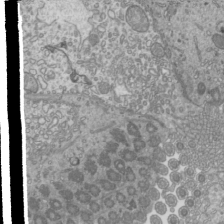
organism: Mouse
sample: Cilia; mouse epididymis